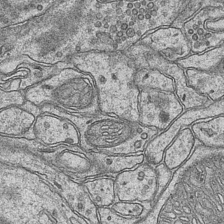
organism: Mouse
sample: CA1 Hippocampus